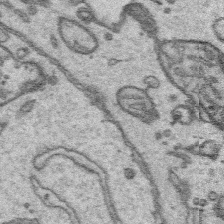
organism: Platynereis dumerilii